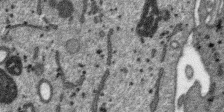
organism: Human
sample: Lung epithelial cells infected with SARS-CoV-2